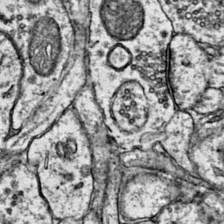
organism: Mouse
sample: Primary visual cortex